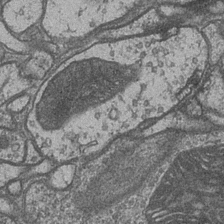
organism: Drosophila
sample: Optic medulla